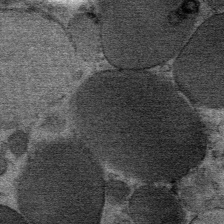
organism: Mouse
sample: Mouse Salivary gland